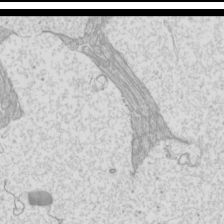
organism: Mouse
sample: Cilia; mouse epididymis